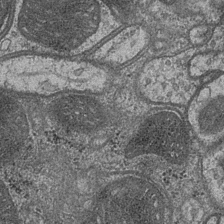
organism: Drosophila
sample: Optic medulla